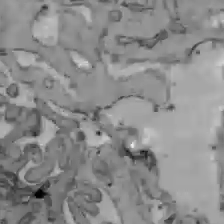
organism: C57BL Mouse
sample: Liver